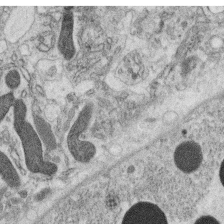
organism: C. elegans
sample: C. elegans oocyte; sperm cells